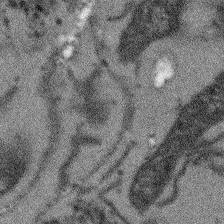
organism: Arabidopsis thaliana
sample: Root tip